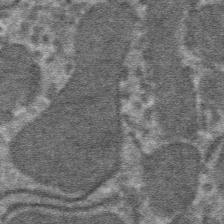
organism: Mouse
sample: Mouse hepatocytes